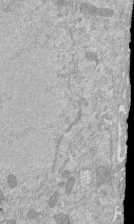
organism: Mouse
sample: ED-1 cell nuclei; centrioles